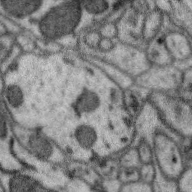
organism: Zebra finch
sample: Brain